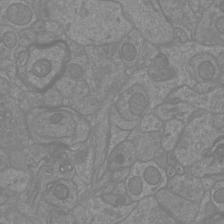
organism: Mouse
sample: Cortical neurons